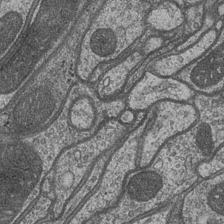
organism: Drosophila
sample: Optic medulla